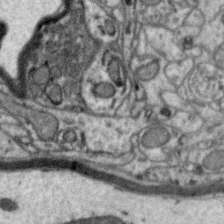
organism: Zebra finch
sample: Brain